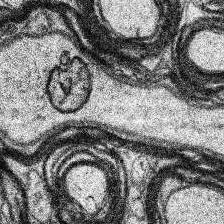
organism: Human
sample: Temporal Lobe